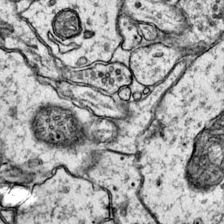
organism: Mouse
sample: Primary visual cortex